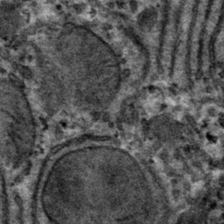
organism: Mouse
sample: Mouse hepatocytes